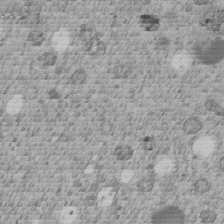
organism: C. elegans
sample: C. elegans embryo early stage